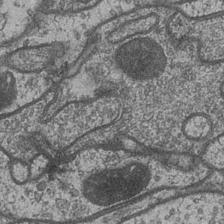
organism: Drosophila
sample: Optic medulla